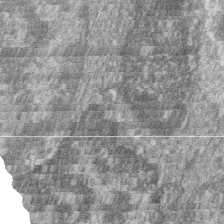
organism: Zebrafish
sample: Cilia; retinal pigment epithelium